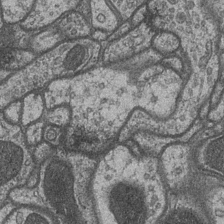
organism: Drosophila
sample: Optic medulla